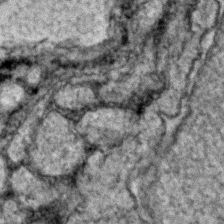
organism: Zebrafish